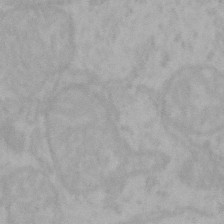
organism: Mouse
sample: Choroid plexus